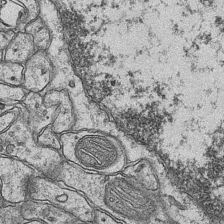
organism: Mouse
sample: CA1 Hippocampus